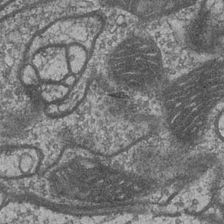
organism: Drosophila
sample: Optic medulla